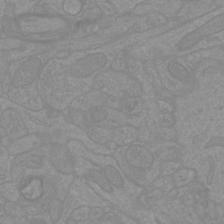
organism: Mouse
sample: Cortical neurons